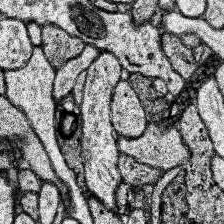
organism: Human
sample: Temporal Lobe